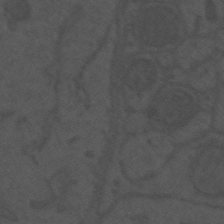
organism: Mouse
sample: Suprachiasmatic nucleus